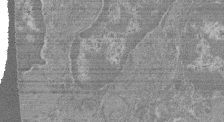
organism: Mouse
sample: Glomerulus